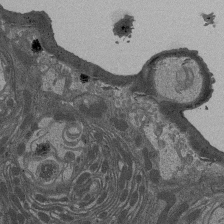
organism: Drosophila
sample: Antenna